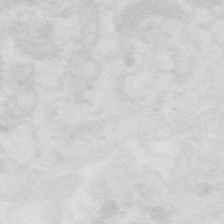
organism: Human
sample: HeLa cells